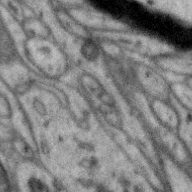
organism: Zebra finch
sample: Brain